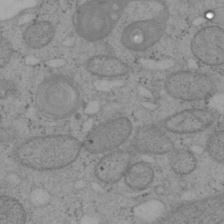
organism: Mouse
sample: OT-I killer T cells with ID8 ovarian cancer cells